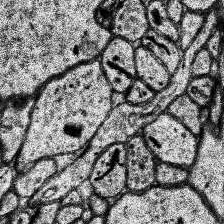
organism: Human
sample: Temporal Lobe